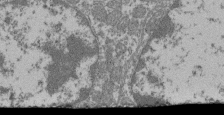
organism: Mouse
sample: Glomerulus